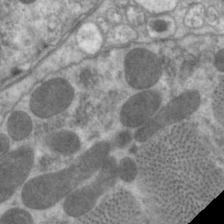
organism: C. elegans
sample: Pharynx